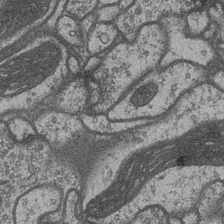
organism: Drosophila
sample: Optic medulla